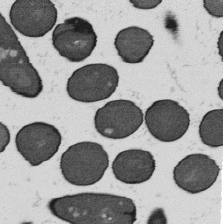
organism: B. subtilis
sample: Bacterial spore